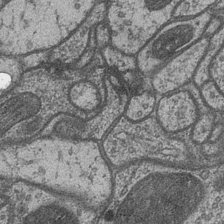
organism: Drosophila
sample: Optic medulla